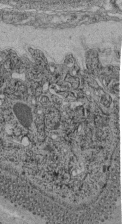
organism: C. elegans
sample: C. elegans pharynx